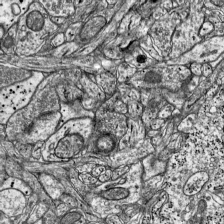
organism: Mouse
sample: Visual Cortex